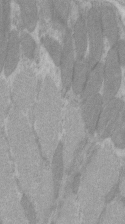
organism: C57BL Mouse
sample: Tibialis anterior muscle cell